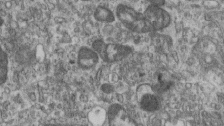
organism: Mouse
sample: Centriole in ependymal cells